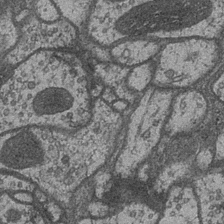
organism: Drosophila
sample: Optic medulla